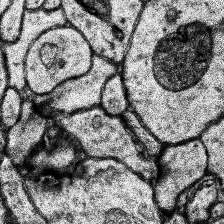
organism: Human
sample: Temporal Lobe